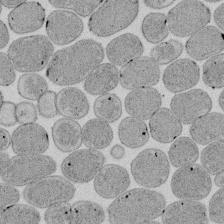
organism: E. coli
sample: Bacterial nucleoid